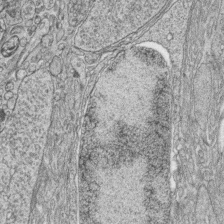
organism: Zebrafish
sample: synaptic ribbons in rod cells and cone cells